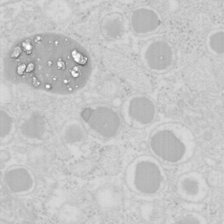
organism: Mouse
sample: Pancreas